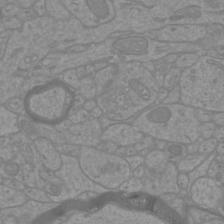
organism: Mouse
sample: Cortical neurons